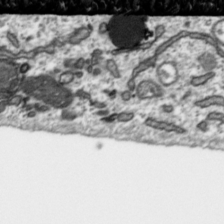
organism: Toxoplasma gondii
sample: Parasites in a vacuole inside a host cell